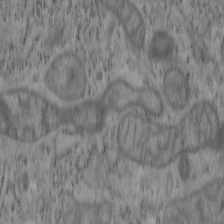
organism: Human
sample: HeLa cells